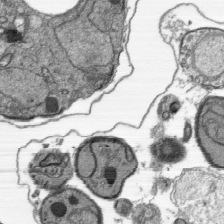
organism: Plasmodium falciparum